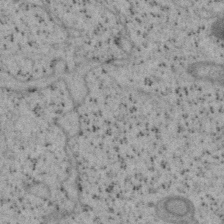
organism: Human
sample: HeLa cells